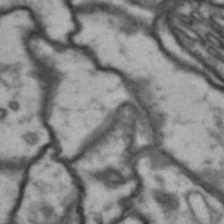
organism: Drosophila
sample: Brain